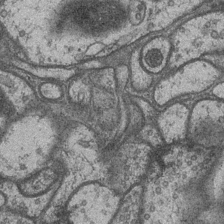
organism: Drosophila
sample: Optic medulla